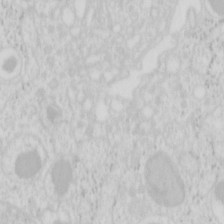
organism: Mouse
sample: Pancreas